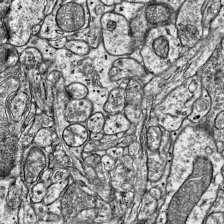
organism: Mouse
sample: Visual Cortex